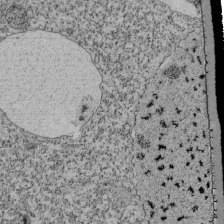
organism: Tetrahymena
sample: Cilia in tetrahymena